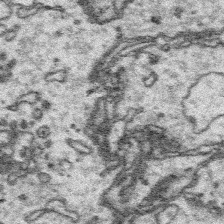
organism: Platynereis dumerilii